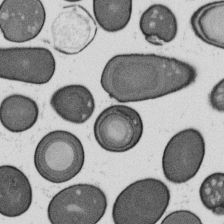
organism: B. subtilis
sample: Bacterial spore